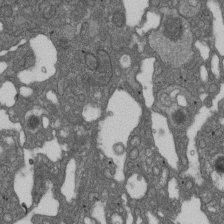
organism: Drosophila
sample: Nephrocyte